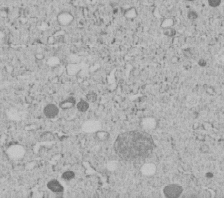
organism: C. elegans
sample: C. elegans embryo early stage